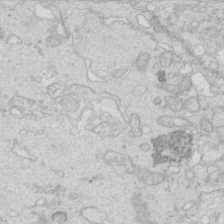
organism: Mouse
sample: Multiciliated cells